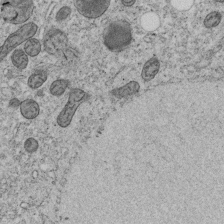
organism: C. elegans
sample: C. elegans embryo early stage